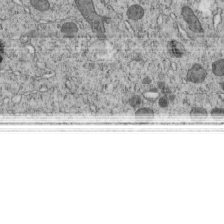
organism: C. elegans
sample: C. elegans embryo early stage